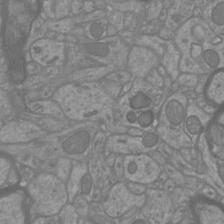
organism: Mouse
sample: Cortical neurons